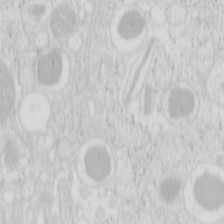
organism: Mouse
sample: Pancreas